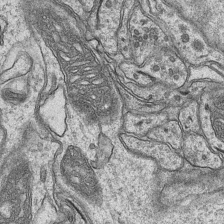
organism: Mouse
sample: CA1 Hippocampus